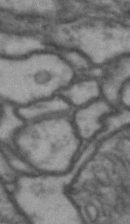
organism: Drosophila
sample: Brain